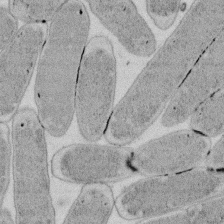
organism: E. coli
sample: Bacterial nucleoid